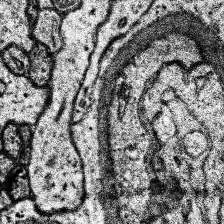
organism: Human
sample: Temporal Lobe